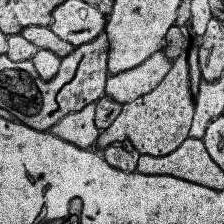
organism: Human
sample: Temporal Lobe